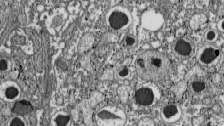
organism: C57BL Mouse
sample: Pancreatic islet